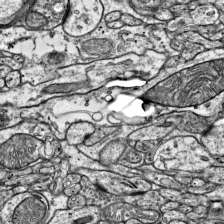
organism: Mouse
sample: Visual Cortex